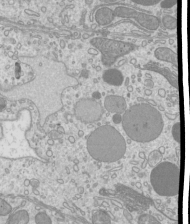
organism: Mouse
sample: Cilia; mouse epididymis